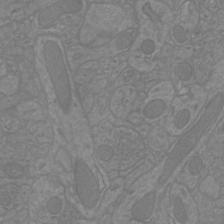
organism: Mouse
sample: Cortical neurons